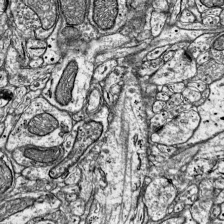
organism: Mouse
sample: Visual Cortex